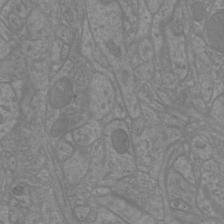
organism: Mouse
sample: Cortical neurons